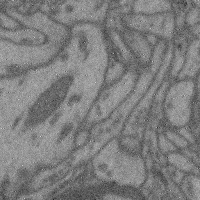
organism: Mouse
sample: Cerebral cortex